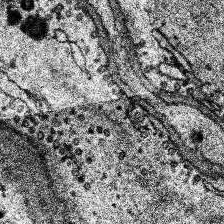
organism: Human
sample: Temporal Lobe